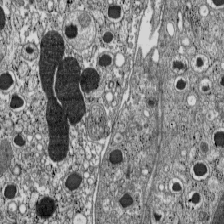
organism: C57BL Mouse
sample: Pancreatic islet